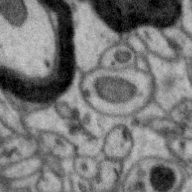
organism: Zebra finch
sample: Brain